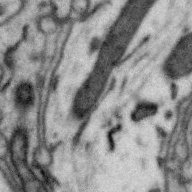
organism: Zebra finch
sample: Brain